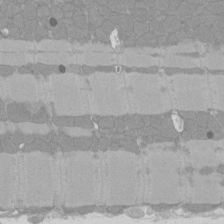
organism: Rat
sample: Left ventricle